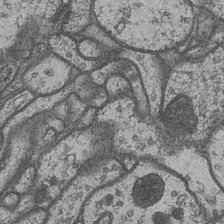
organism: Drosophila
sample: Optic medulla